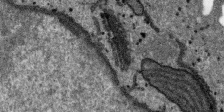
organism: Human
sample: Lung epithelial cells, uninfected (mock) control